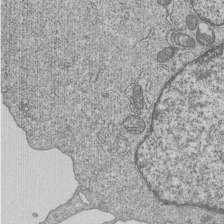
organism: Human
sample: MDA-MB-231 cells